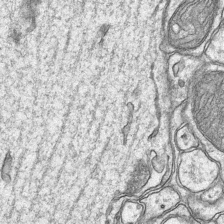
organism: Mouse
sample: CA1 Hippocampus